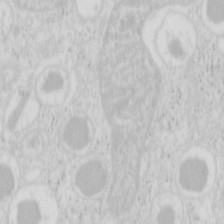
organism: Mouse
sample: Pancreas